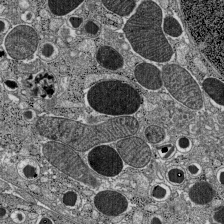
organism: C57BL Mouse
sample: Pancreatic islet